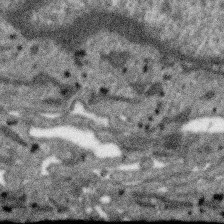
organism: Human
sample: Lung epithelial cells infected with SARS-CoV-2